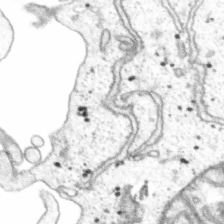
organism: Human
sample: HeLa cells